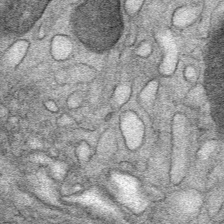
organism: Mouse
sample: Mouse Salivary gland